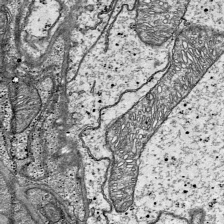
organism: Mouse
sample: Visual Cortex